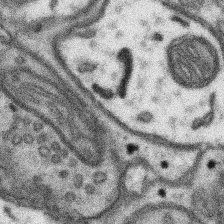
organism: Mouse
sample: Somatosensory cortex neuropil